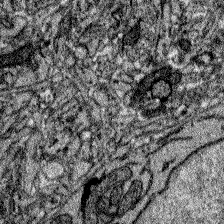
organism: Zebrafish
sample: Larval olfactory bulb